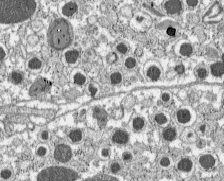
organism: C57BL Mouse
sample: Pancreatic islet